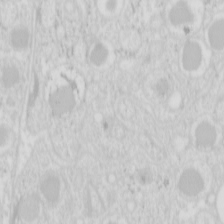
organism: Mouse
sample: Pancreas